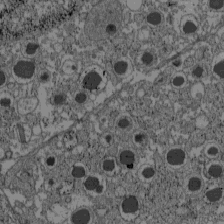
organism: C57BL Mouse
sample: Pancreatic islet